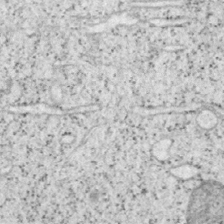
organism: Mouse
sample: OT-I killer T cells with ID8 ovarian cancer cells